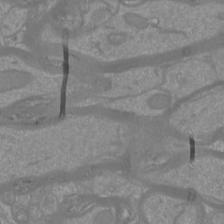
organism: Mouse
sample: Cortical neurons